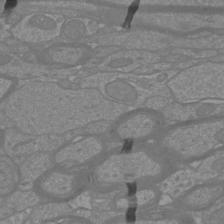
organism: Mouse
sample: Cortical neurons